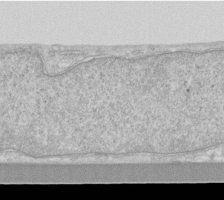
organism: Human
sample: Fibroblast cells